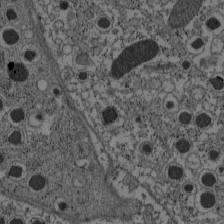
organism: C57BL Mouse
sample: Pancreatic islet